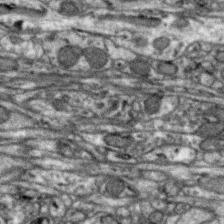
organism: Zebra finch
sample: Brain